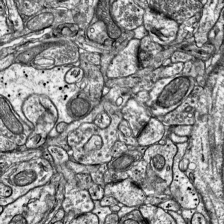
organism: Mouse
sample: Visual Cortex